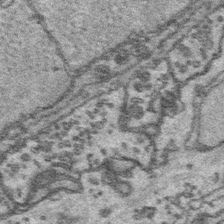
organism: Platynereis dumerilii